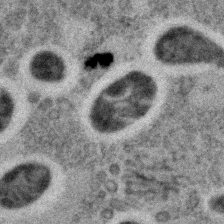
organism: C. elegans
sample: C. elegans embryo